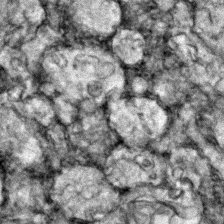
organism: Zebrafish